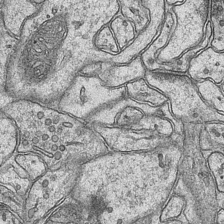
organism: Mouse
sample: CA1 Hippocampus